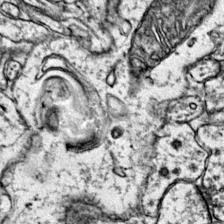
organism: Mouse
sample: Primary visual cortex